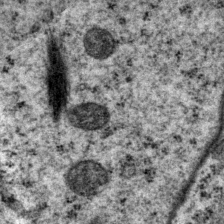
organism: P. pacificus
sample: Pharynx